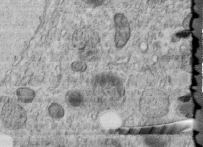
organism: C. elegans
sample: C. elegans embryo early stage